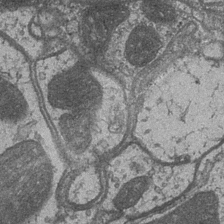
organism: Drosophila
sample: Optic medulla